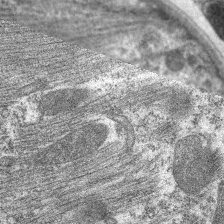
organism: C. elegans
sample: Pharynx